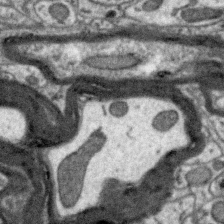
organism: Zebra finch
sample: Brain